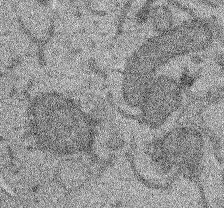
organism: Human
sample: HeLa cells